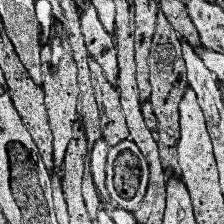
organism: Human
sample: Temporal Lobe